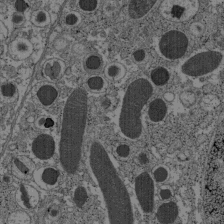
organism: C57BL Mouse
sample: Pancreatic islet